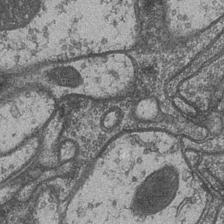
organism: Drosophila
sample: Optic medulla